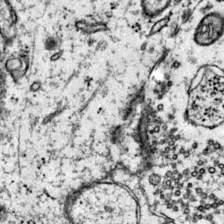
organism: Mouse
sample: Primary visual cortex